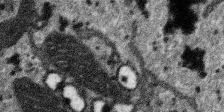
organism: Human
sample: Lung epithelial cells infected with SARS-CoV-2